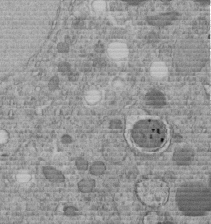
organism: C. elegans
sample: C. elegans embryo early stage